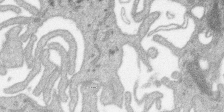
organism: Human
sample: Lung epithelial cells infected with SARS-CoV-2